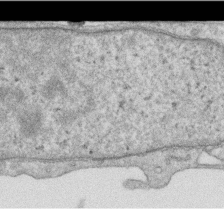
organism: Human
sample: Centriole in RPE cells